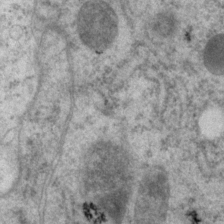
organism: P. pacificus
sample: Pharynx